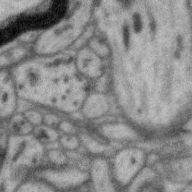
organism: Zebra finch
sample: Brain